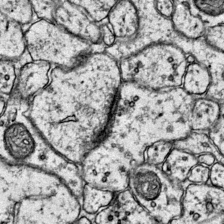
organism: Mouse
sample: Primary visual cortex